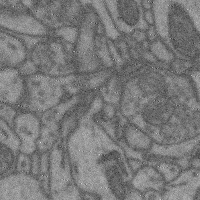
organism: Mouse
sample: Cerebral cortex